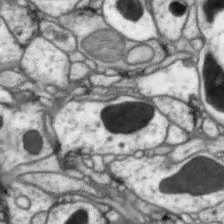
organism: Drosophila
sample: Optic lobe